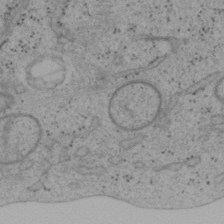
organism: Human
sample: HeLa cells